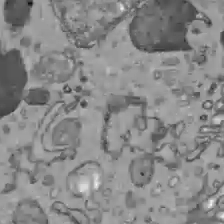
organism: C57BL Mouse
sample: Liver